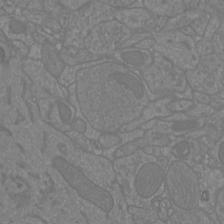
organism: Mouse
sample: Cortical neurons